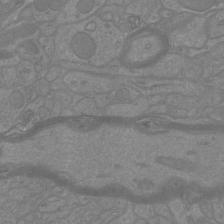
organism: Mouse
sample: Cortical neurons